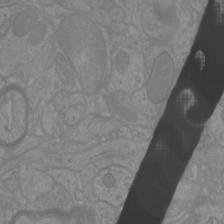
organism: Mouse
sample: Cortical neurons